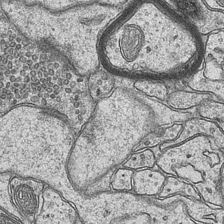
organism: Mouse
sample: CA1 Hippocampus